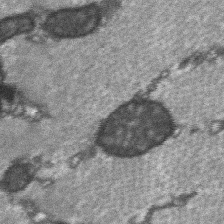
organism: C57BL Mouse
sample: Soleus